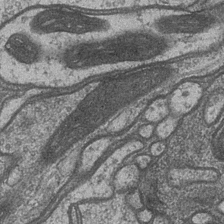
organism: Drosophila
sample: Optic medulla